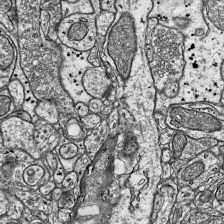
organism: Mouse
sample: Visual Cortex